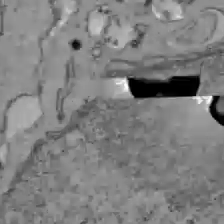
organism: C57BL Mouse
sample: Liver